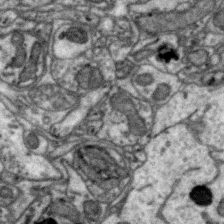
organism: Zebra finch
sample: Brain